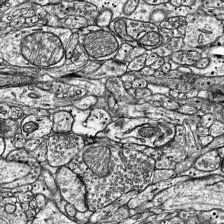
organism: Mouse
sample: Visual Cortex